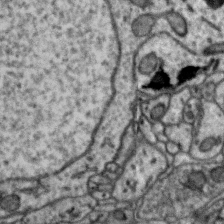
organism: Zebra finch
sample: Brain